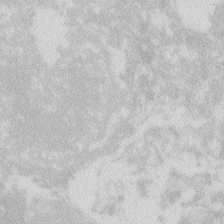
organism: Zebrafish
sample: Macrophage